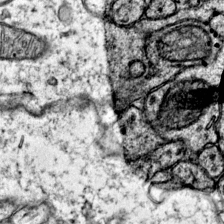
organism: Mouse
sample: Primary visual cortex